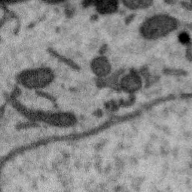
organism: Zebra finch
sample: Brain